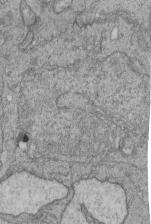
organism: Human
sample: Retinal organoid Rod and Cone cells